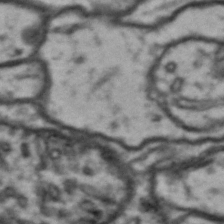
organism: Drosophila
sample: Brain